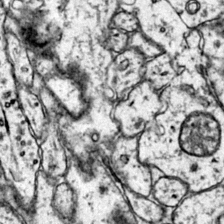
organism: Mouse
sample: Primary visual cortex